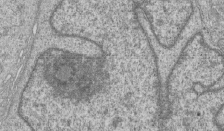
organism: Human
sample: MDA-MB-231 cells